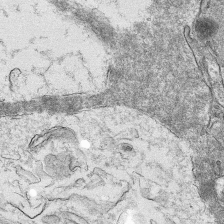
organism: Mouse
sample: Mouse hepatocytes